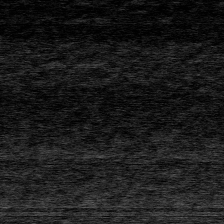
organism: Human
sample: HeLa cells